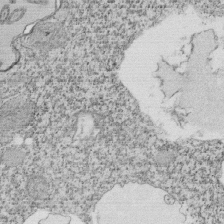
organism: Tetrahymena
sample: Cilia in tetrahymena